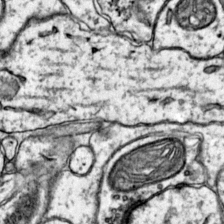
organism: Mouse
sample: Primary visual cortex